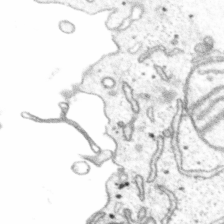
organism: Human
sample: HeLa cells